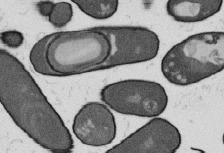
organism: B. subtilis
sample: Bacterial spore